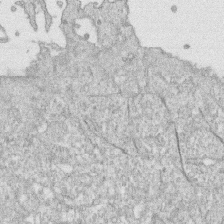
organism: Human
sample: HeLa cell HIV synapse